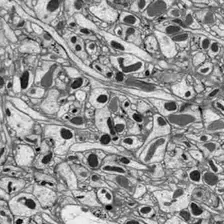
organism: Drosophila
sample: Optic lobe